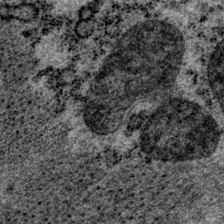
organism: P. pacificus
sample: Pharynx